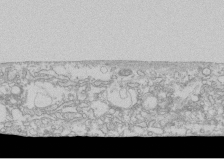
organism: Human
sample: CRL-1474